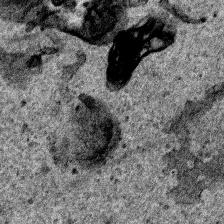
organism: Human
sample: Mitochondria in HCT116 cells